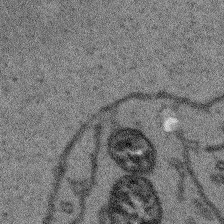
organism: Arabidopsis thaliana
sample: Root tip